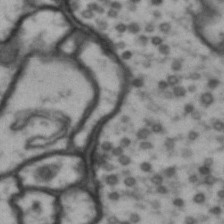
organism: Drosophila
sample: Brain